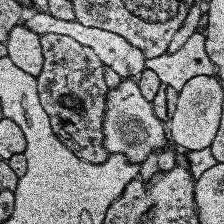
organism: Human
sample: Temporal Lobe